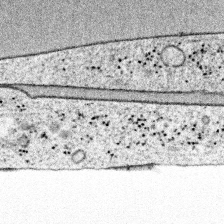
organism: Human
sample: HeLa cells